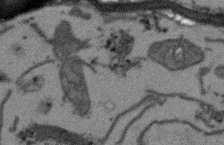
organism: Arabidopsis thaliana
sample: Root tip